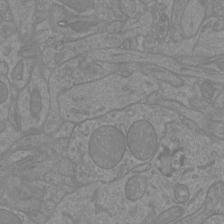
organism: Mouse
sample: Cortical neurons